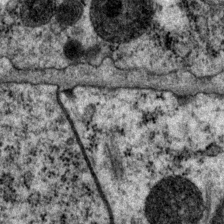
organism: P. pacificus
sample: Pharynx